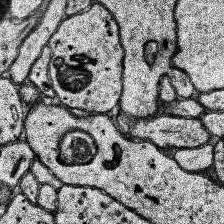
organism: Human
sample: Temporal Lobe